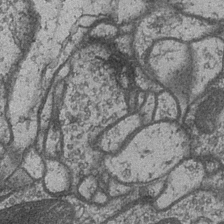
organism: Drosophila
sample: Optic medulla